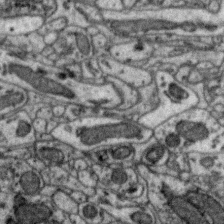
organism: Zebra finch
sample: Brain